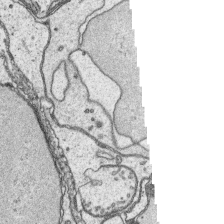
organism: Platynereis dumerilii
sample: Parapodia